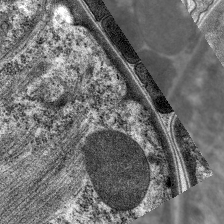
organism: C. elegans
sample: Pharynx